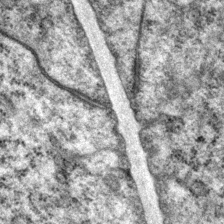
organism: P. pacificus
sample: Pharynx